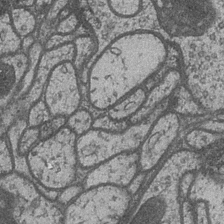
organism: Drosophila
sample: Optic medulla